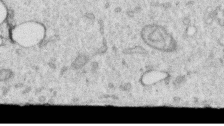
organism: Human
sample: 1205lu cells